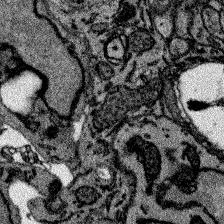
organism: Zebrafish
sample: Larval olfactory bulb